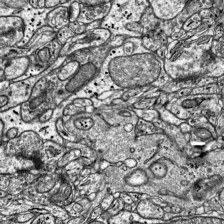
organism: Mouse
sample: Visual Cortex